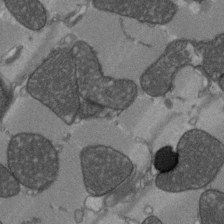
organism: C57BL Mouse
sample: Heart